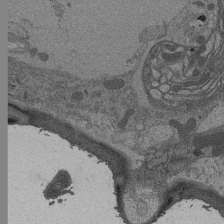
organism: Drosophila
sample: Antenna